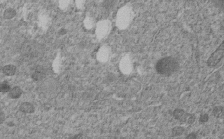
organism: C. elegans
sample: C. elegans embryo early stage